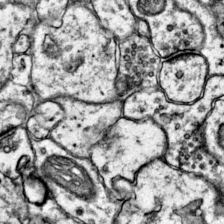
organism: Mouse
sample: Primary visual cortex